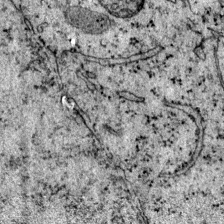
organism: Mouse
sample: Primary visual cortex